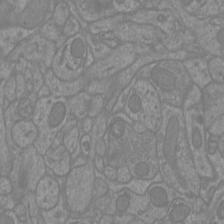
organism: Mouse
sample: Cortical neurons